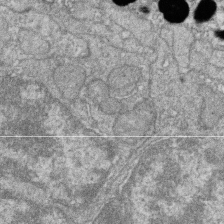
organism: Zebrafish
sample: Cilia; retinal pigment epithelium